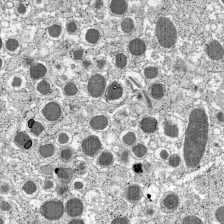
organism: C57BL Mouse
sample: Pancreatic islet